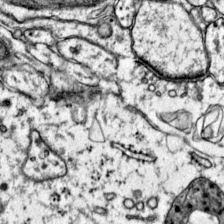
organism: Mouse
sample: Primary visual cortex